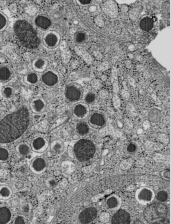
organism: C57BL Mouse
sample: Pancreatic islet